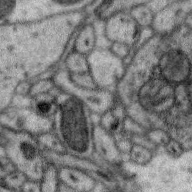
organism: Zebra finch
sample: Brain